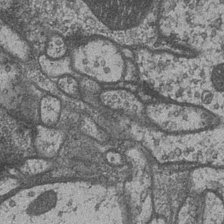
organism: Drosophila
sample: Optic medulla